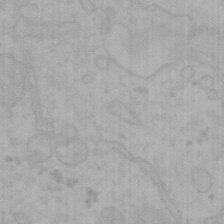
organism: Mouse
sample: Choroid plexus